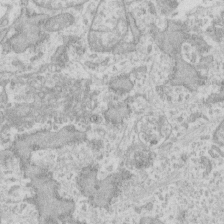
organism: Human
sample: Fibroblast cells